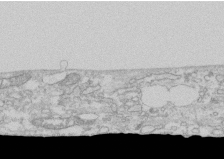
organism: Human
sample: CRL-1474